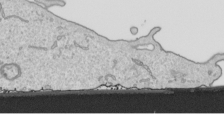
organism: Human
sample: Mitochondria in HCT116 cells